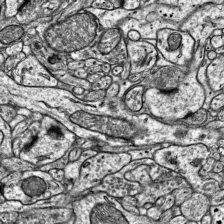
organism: Mouse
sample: Visual Cortex